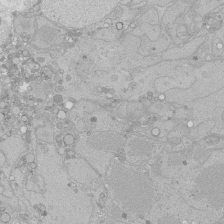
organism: Human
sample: Caco-2 cells